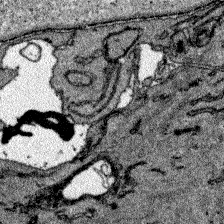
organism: Zebrafish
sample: Larval olfactory bulb